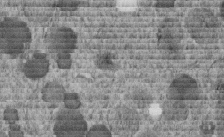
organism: C. elegans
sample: C. elegans embryo early stage